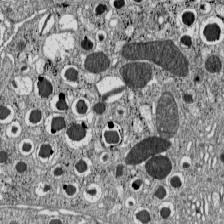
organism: C57BL Mouse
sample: Pancreatic islet